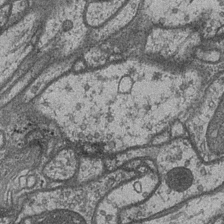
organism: Drosophila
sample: Optic medulla